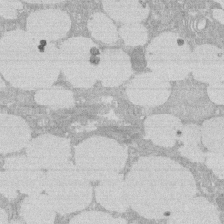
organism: Rat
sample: Salivary granule